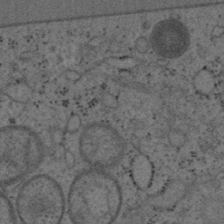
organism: Human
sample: HeLa cells